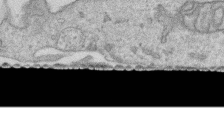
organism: Human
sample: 1205lu cells